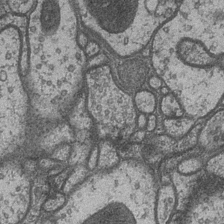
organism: Drosophila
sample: Optic medulla